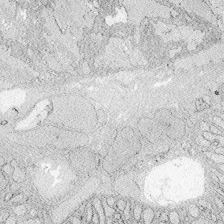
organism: Zebrafish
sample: Whole-Brain